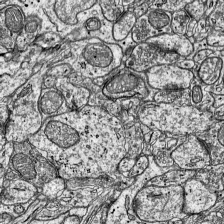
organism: Mouse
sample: Visual Cortex